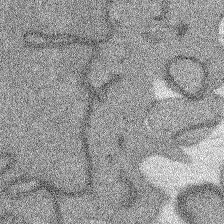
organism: Human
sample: HeLa cells